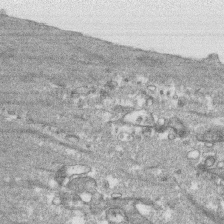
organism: Human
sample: CRL-1474